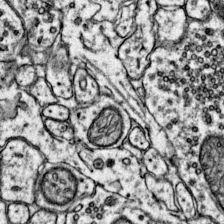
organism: Mouse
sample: Primary visual cortex